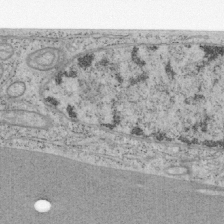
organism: Human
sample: HeLa cells